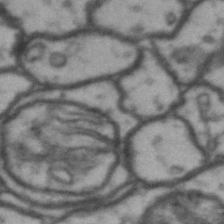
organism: Drosophila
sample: Brain